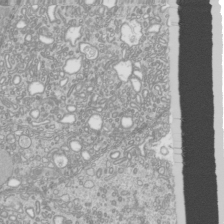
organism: Mouse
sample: Cilia; mouse epididymis